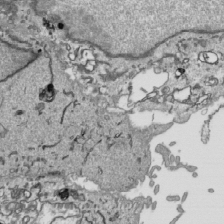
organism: Human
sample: Mitochondria in HCT116 cells